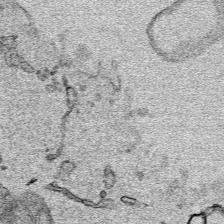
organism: Human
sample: Mitochondria in HCT116 cells